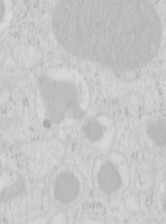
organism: Mouse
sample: Pancreas